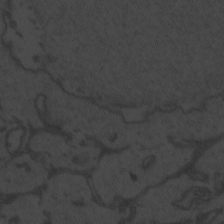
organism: Zebrafish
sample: Macrophage infected with Toxoplasma gondii